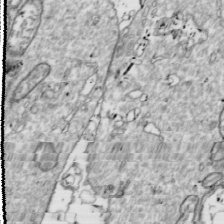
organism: Drosophila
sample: Cell division; meiosis; drosophila spermatocytes